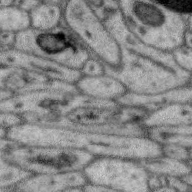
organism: Zebra finch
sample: Brain